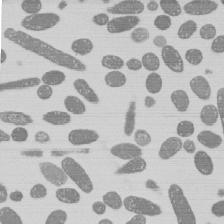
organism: E. coli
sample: Bacterial nucleoid